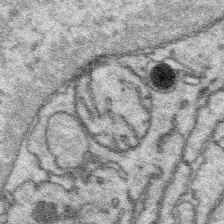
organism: Platynereis dumerilii